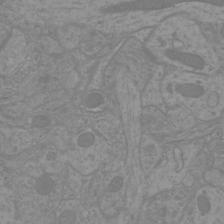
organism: Mouse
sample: Cortical neurons